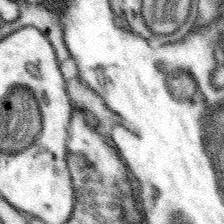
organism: Mouse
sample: Somatosensory cortex neuropil